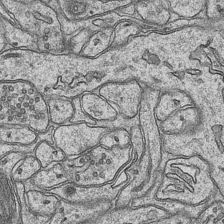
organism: Mouse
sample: CA1 Hippocampus